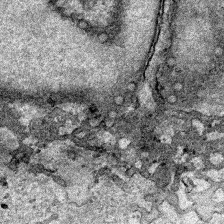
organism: Human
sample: Mitochondria in HCT116 cells